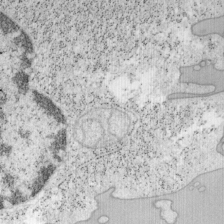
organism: Mouse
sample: OT-I killer T cells with ID8 ovarian cancer cells